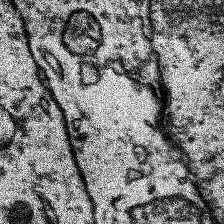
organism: Human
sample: Temporal Lobe